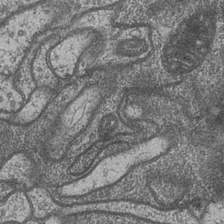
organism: Drosophila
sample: Optic medulla